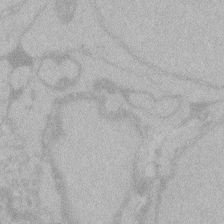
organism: Zebrafish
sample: Macrophage infected with Toxoplasma gondii